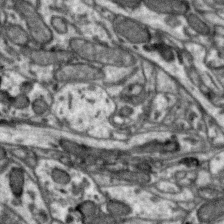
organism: Zebra finch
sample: Brain